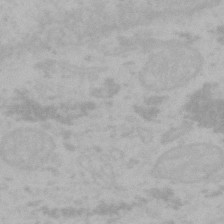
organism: Mouse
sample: Choroid plexus